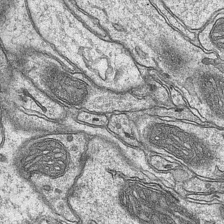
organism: Mouse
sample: CA1 Hippocampus